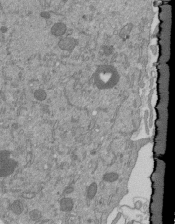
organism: Mouse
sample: ED-1 cell nuclei; centrioles